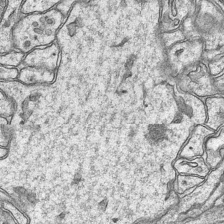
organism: Mouse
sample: CA1 Hippocampus